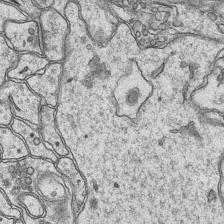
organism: Mouse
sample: CA1 Hippocampus